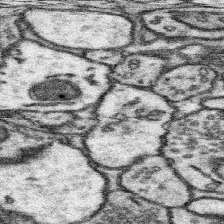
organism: Mouse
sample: Somatosensory cortex neuropil